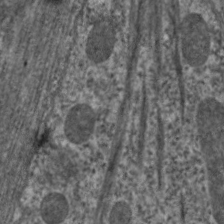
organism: C. elegans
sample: Pharynx